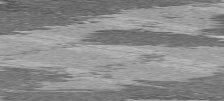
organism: C57BL Mouse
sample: Heart